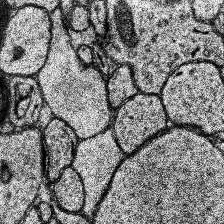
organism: Human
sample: Temporal Lobe